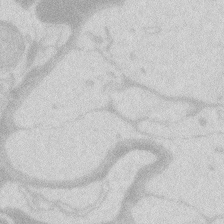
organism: Zebrafish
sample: Macrophage